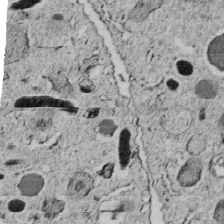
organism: C. elegans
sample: C. elegans embryo early stage